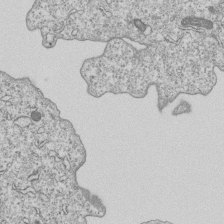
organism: Human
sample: MDA-MB-231 cells